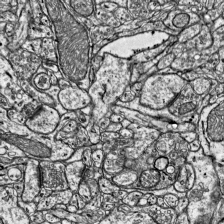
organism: Mouse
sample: Visual Cortex